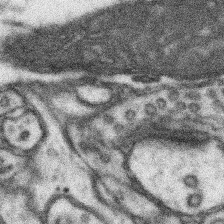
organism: Mouse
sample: Somatosensory cortex neuropil